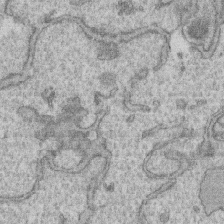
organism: Human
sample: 1205lu cells